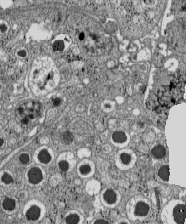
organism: C57BL Mouse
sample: Pancreatic islet